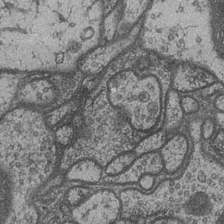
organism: Drosophila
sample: Optic medulla